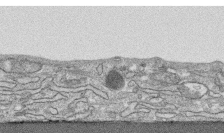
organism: Human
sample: CRL-1474